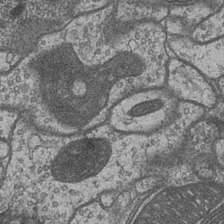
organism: Drosophila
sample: Optic medulla